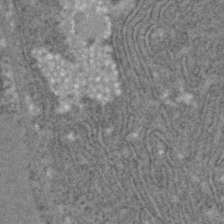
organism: C. elegans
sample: C. elegans embryo